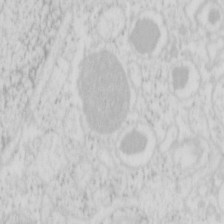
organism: Mouse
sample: Pancreas